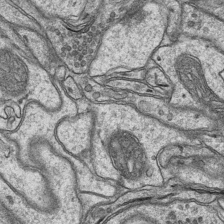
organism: Mouse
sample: CA1 Hippocampus